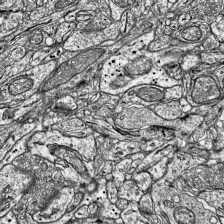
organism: Mouse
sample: Visual Cortex